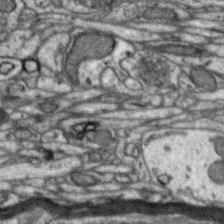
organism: Zebra finch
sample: Brain